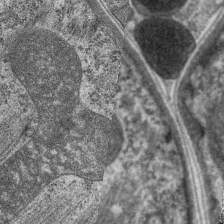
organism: C. elegans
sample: Pharynx